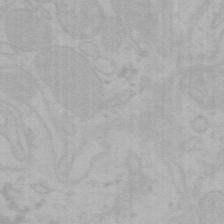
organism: Mouse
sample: Choroid plexus